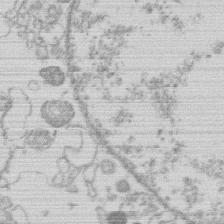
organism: Human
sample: Macrophage cells